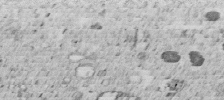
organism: C. elegans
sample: C. elegans embryo early stage